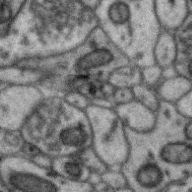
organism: Zebra finch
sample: Brain